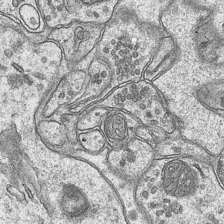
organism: Mouse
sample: CA1 Hippocampus